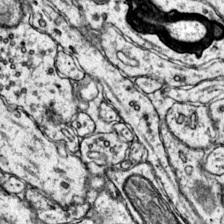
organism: Mouse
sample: Primary visual cortex